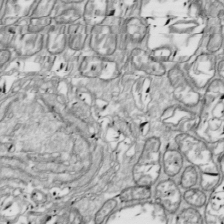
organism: Drosophila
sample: Cell division; meiosis; drosophila spermatocytes